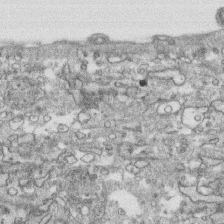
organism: Human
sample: CRL-1474